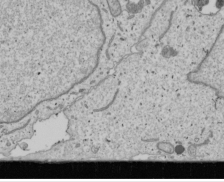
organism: Human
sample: Mitochondria in U2OS cells